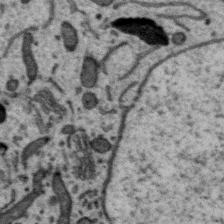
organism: Zebra finch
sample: Brain